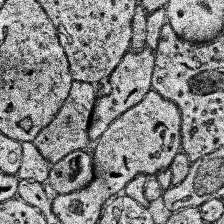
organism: Human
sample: Temporal Lobe